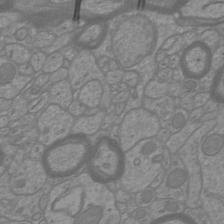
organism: Mouse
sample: Cortical neurons